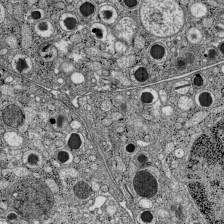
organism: C57BL Mouse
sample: Pancreatic islet